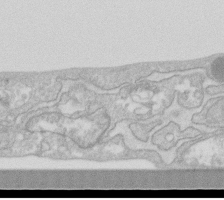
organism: Human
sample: Fibroblast cells